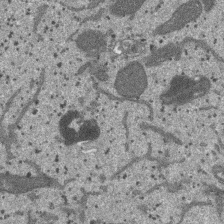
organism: Human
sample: Lung epithelial cells infected with SARS-CoV-2